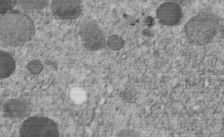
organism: C. elegans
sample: C. elegans embryo early stage